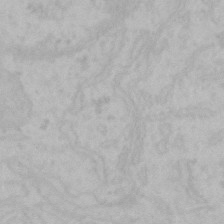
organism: Mouse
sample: Choroid plexus